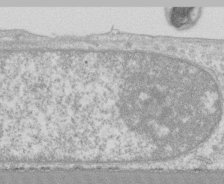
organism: Human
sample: CRL-1474